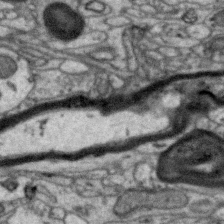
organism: Zebra finch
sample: Brain